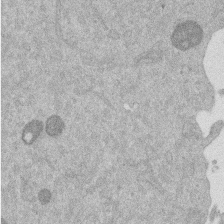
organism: Mouse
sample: Dividing mouse embryo 1 cell stage